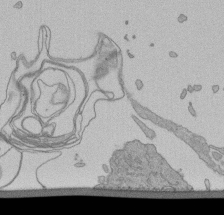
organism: Human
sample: Retinal organoid Rod and Cone cells